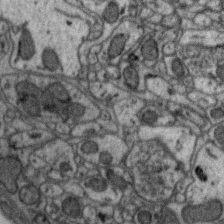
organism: Zebra finch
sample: Brain